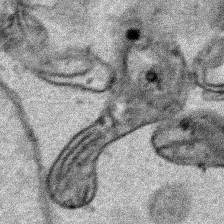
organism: Human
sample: Mitochondria in HCT116 cells